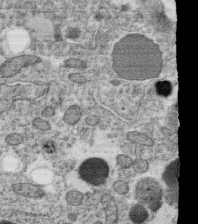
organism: C. elegans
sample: C. elegans oocyte; sperm cells